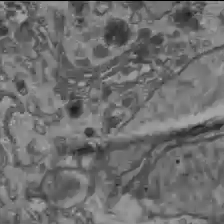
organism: C57BL Mouse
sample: Liver